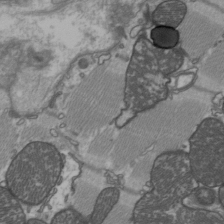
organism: C57BL Mouse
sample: Heart